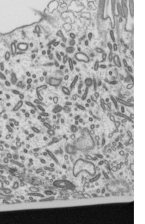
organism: Mouse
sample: Mouse epididymis efferent ductule cilia